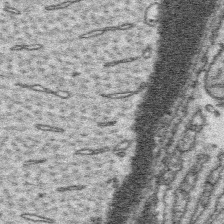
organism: Platynereis dumerilii